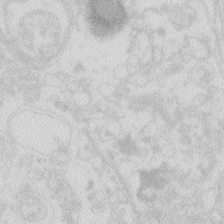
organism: Zebrafish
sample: Macrophage